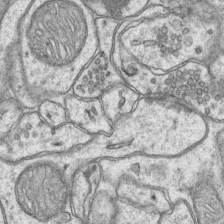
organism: Mouse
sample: CA1 Hippocampus